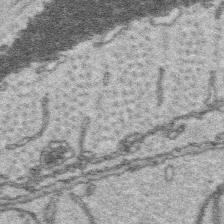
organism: Platynereis dumerilii